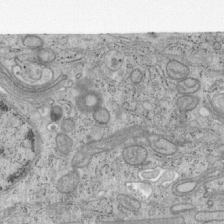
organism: Human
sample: HeLa cells